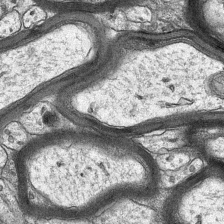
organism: Mouse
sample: CA1 Hippocampus